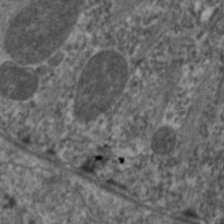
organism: C. elegans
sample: Pharynx